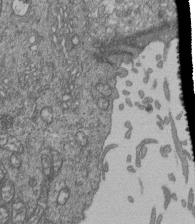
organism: Human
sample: Retinal organoid Rod and Cone cells